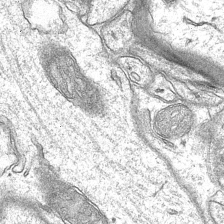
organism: Mouse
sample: CA1 Hippocampus